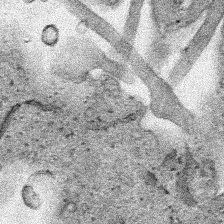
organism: Human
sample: Mitochondria in HCT116 cells